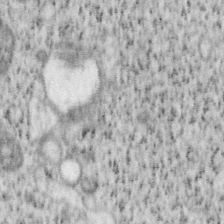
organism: Mouse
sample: OT-I killer T cells with ID8 ovarian cancer cells